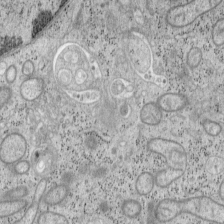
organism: Mouse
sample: OT-I killer T cells with ID8 ovarian cancer cells